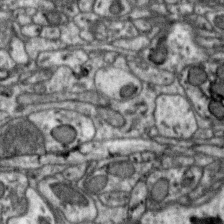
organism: Zebra finch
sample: Brain